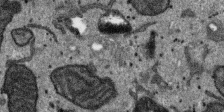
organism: Human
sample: Lung epithelial cells, uninfected (mock) control